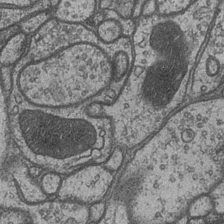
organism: Drosophila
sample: Optic medulla